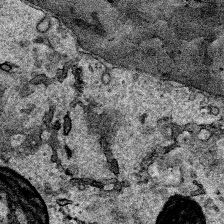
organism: Human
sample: Mitochondria in HCT116 cells